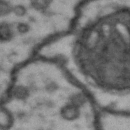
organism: Drosophila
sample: Brain